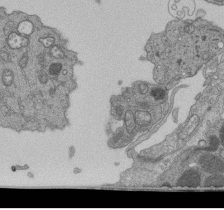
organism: Human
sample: Retinal organoid Rod and Cone cells